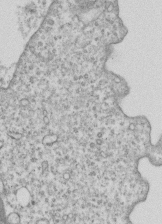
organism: Human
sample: MDA-MB-231 cells